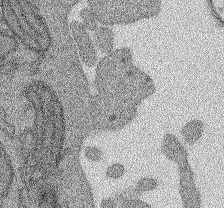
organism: Human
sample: HeLa cells